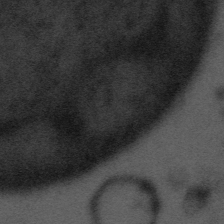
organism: Tuwongella immobilis